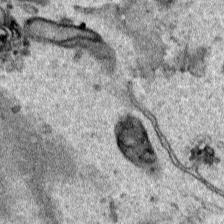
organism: Human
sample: Mitochondria in HCT116 cells